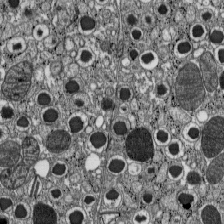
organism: C57BL Mouse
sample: Pancreatic islet